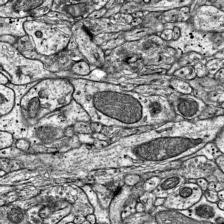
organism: Mouse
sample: Visual Cortex